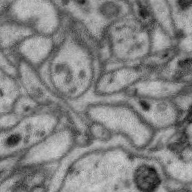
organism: Zebra finch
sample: Brain